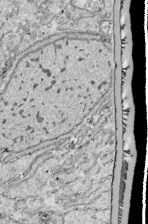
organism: Drosophila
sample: Cell division; meiosis; drosophila spermatocytes